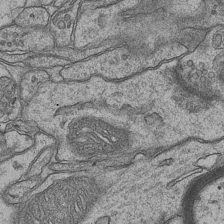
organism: Mouse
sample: CA1 Hippocampus